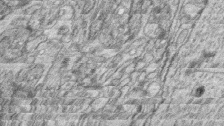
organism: Zebrafish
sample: synaptic ribbons in rod cells and cone cells